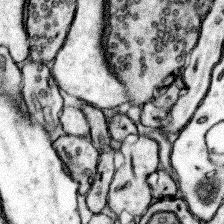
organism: Mouse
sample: Somatosensory cortex neuropil